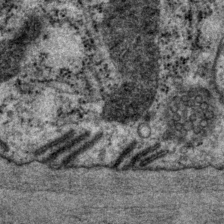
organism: P. pacificus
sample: Pharynx